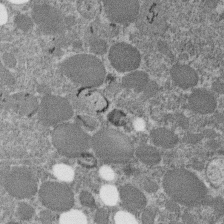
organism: C. elegans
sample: C. elegans embryo early stage